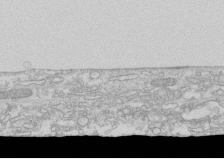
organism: Human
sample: CRL-1474